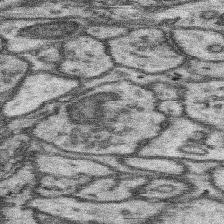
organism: Mouse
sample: Somatosensory cortex neuropil